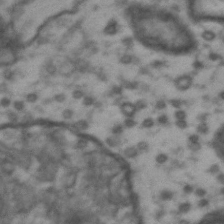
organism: Drosophila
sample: Brain